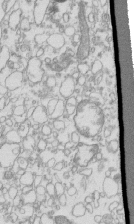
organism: Mouse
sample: Macrophages